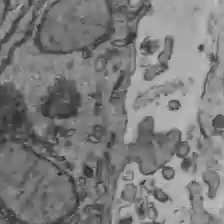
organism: C57BL Mouse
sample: Liver